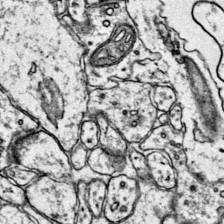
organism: Mouse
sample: Primary visual cortex